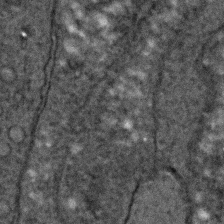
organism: C. elegans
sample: C. elegans embryo